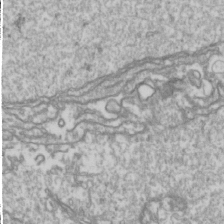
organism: Drosophila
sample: Cell division; meiosis; drosophila spermatocytes